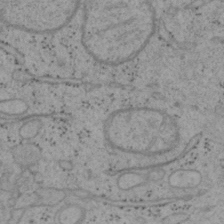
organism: Human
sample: HeLa cells